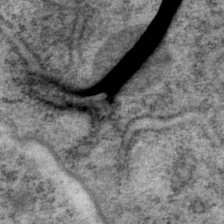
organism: P. pacificus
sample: Pharynx